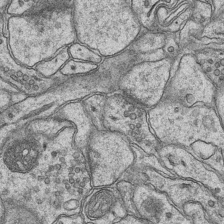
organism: Mouse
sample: CA1 Hippocampus